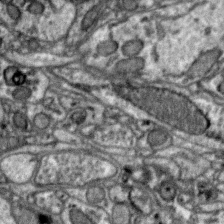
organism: Zebra finch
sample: Brain